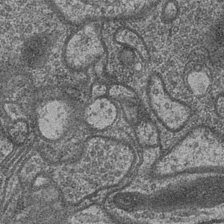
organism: Drosophila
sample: Optic medulla